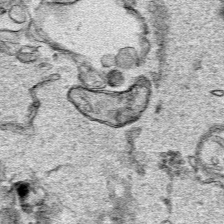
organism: Human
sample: Mitochondria in HCT116 cells